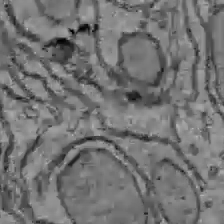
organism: C57BL Mouse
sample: Liver